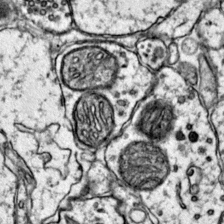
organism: Mouse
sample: Primary visual cortex